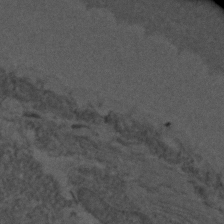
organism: C. elegans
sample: C. elegans embryo